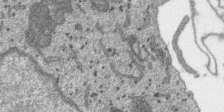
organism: Human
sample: Lung epithelial cells infected with SARS-CoV-2